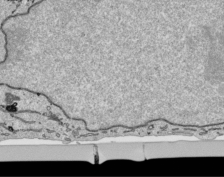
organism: Human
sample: Mitochondria in HCT116 cells